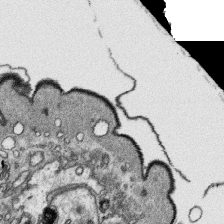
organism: Platynereis dumerilii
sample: Parapodia